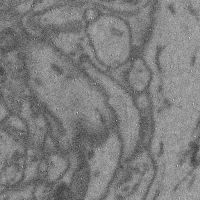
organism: Mouse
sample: Cerebral cortex